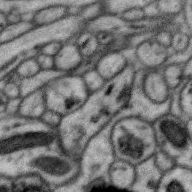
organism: Zebra finch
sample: Brain